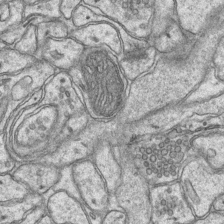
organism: Mouse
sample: CA1 Hippocampus